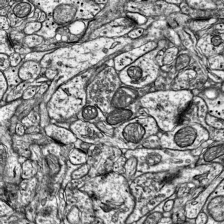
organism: Mouse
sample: Visual Cortex